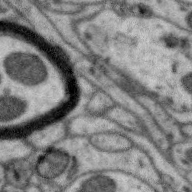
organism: Zebra finch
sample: Brain